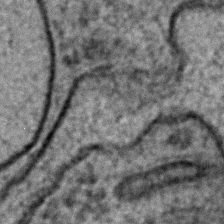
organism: C. elegans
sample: C. elegans embryo